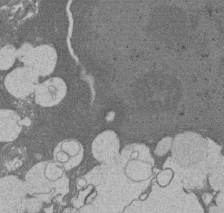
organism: Rat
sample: Salivary granule